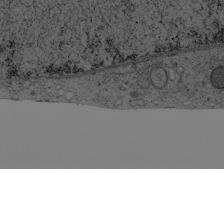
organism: African green monkey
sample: COS-7 cells